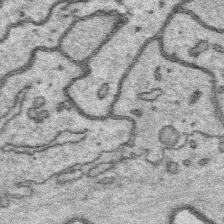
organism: Platynereis dumerilii